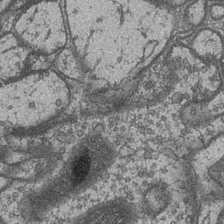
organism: Drosophila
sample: Optic medulla